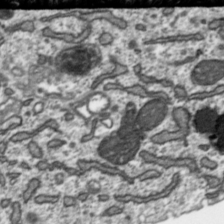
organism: Toxoplasma gondii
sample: Parasites in a vacuole inside a host cell